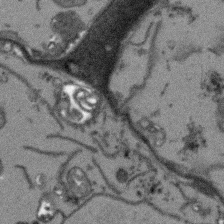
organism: Arabidopsis thaliana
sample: Root tip